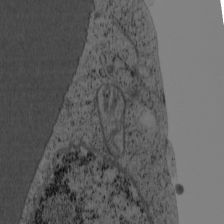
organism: African green monkey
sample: COS-7 cells